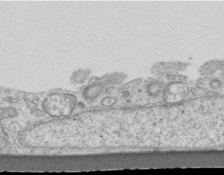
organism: Mouse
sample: Centriole in ependymal cells